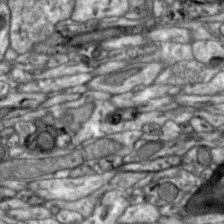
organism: Zebra finch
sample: Brain